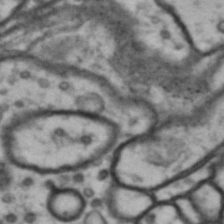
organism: Drosophila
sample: Brain